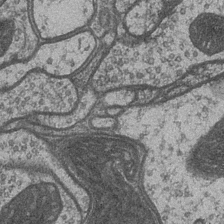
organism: Drosophila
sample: Optic medulla